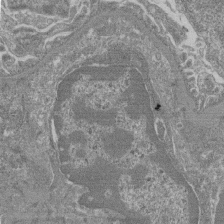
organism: Mouse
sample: Glomerulus